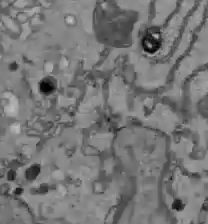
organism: C57BL Mouse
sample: Liver